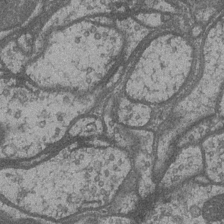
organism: Drosophila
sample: Optic medulla